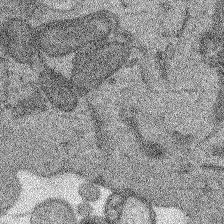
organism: Human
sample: HeLa cells